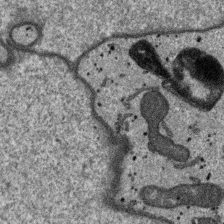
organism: Human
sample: Lung epithelial cells, uninfected (mock) control